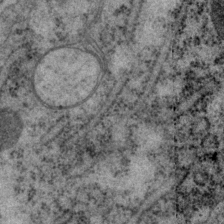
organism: P. pacificus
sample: Pharynx